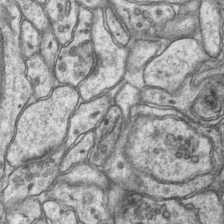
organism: Mouse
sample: CA1 Hippocampus